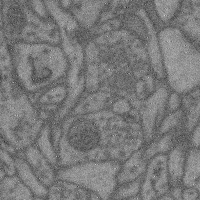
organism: Mouse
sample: Cerebral cortex